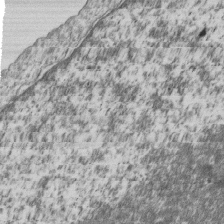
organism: Human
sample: MDA-MB-231 cells